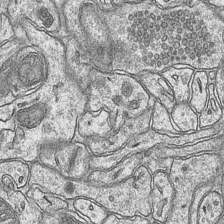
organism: Mouse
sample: CA1 Hippocampus